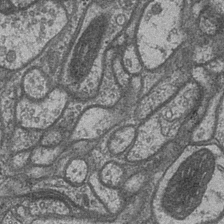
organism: Drosophila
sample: Optic medulla